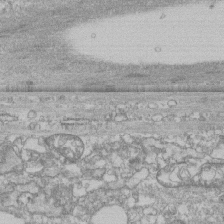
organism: Human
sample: CRL-1474